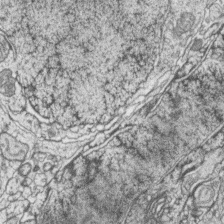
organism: Zebrafish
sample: synaptic ribbons in rod cells and cone cells